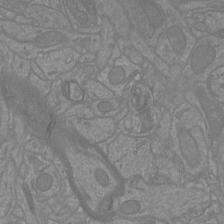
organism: Mouse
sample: Cortical neurons